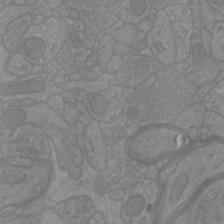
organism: Mouse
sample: Cortical neurons